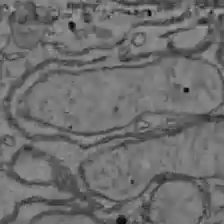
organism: C57BL Mouse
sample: Liver